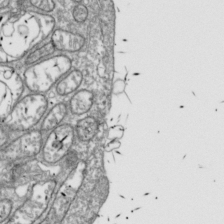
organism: Drosophila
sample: Cell division; meiosis; drosophila spermatocytes